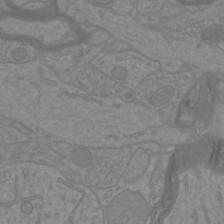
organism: Mouse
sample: Cortical neurons